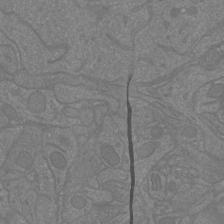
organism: Mouse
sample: Cortical neurons